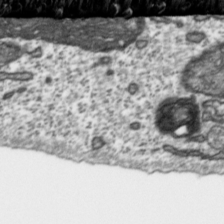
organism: Toxoplasma gondii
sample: Parasites in a vacuole inside a host cell